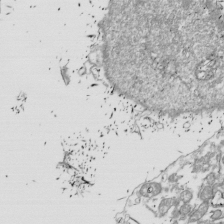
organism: Drosophila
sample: Cell division; meiosis; drosophila spermatocytes